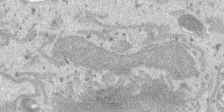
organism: Human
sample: Lung epithelial cells infected with SARS-CoV-2